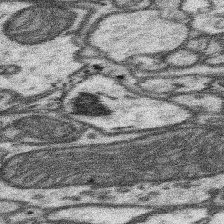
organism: Mouse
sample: Somatosensory cortex neuropil